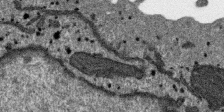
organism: Human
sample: Lung epithelial cells, uninfected (mock) control